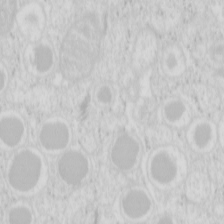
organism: Mouse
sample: Pancreas